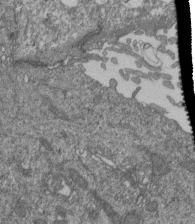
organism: Human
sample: Retinal organoid Rod and Cone cells